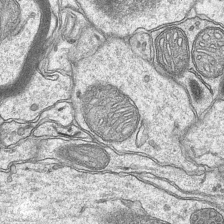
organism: Mouse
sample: CA1 Hippocampus